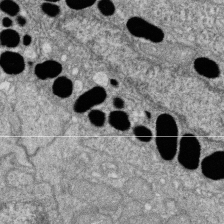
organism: Zebrafish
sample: Cilia; retinal pigment epithelium